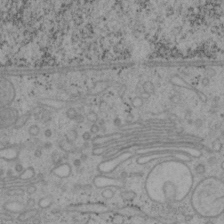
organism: Human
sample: HeLa cells